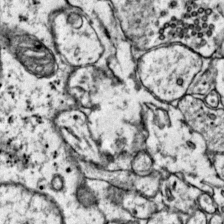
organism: Mouse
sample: Primary visual cortex